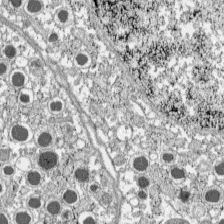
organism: C57BL Mouse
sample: Pancreatic islet